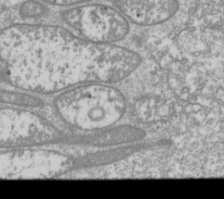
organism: Drosophila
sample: Cell division; meiosis; drosophila spermatocytes